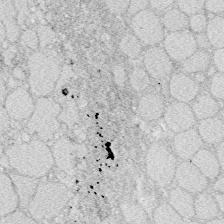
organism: Zebrafish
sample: Whole-Brain